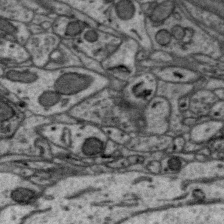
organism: Zebra finch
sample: Brain